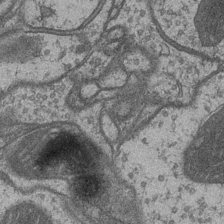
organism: Drosophila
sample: Optic medulla